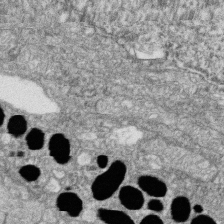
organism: Zebrafish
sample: Cilia; retinal pigment epithelium